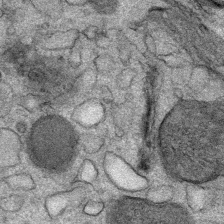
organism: Mouse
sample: Mouse Salivary gland